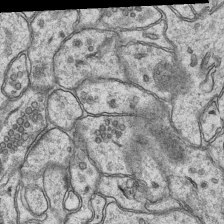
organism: Mouse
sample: CA1 Hippocampus